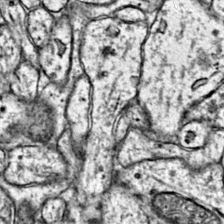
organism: Mouse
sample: Primary visual cortex